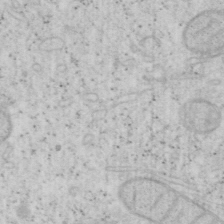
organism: Human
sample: HeLa cells